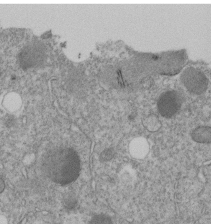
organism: C. elegans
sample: C. elegans embryo early stage